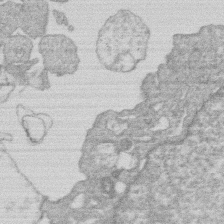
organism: Human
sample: Macrophage cells